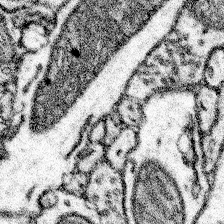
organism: Mouse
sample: Somatosensory cortex neuropil